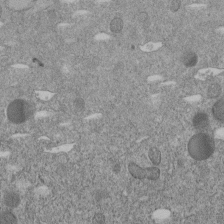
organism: C. elegans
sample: C. elegans embryo early stage